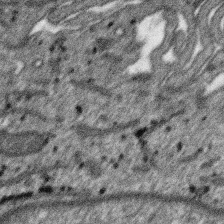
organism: Human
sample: Lung epithelial cells infected with SARS-CoV-2